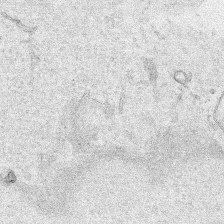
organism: Human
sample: Mitochondria in HCT116 cells